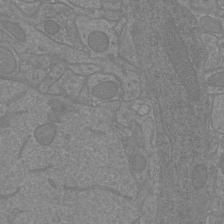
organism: Mouse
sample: Cortical neurons